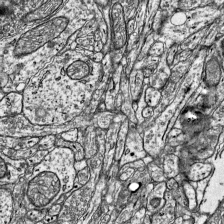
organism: Mouse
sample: Visual Cortex